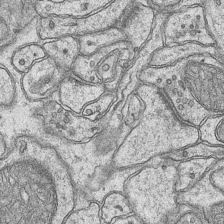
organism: Mouse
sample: CA1 Hippocampus